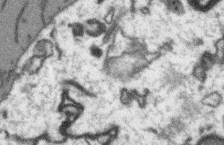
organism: Arabidopsis thaliana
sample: Root tip